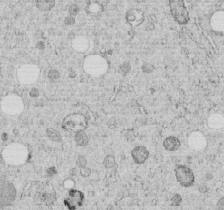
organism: C. elegans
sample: C. elegans embryo early stage